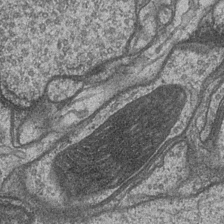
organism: Drosophila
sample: Optic medulla